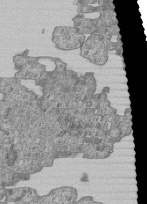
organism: Human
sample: MDA-MB-231 cells